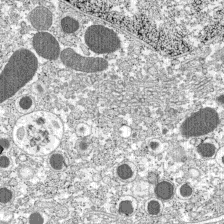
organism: C57BL Mouse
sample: Pancreatic islet